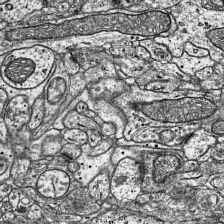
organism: Mouse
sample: Visual Cortex